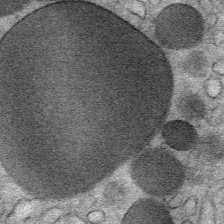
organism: Mouse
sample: Mouse Salivary gland